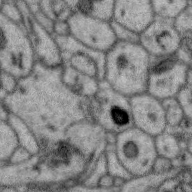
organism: Zebra finch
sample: Brain